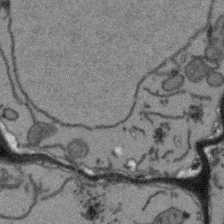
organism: Arabidopsis thaliana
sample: Root tip